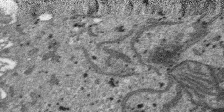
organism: Human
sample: Lung epithelial cells infected with SARS-CoV-2